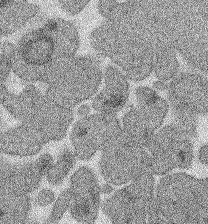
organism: Human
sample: HeLa cells